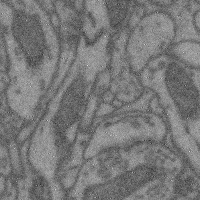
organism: Mouse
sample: Cerebral cortex